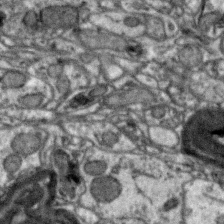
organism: Zebra finch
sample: Brain